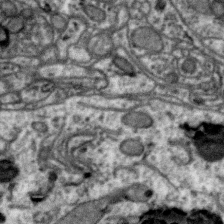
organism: Zebra finch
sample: Brain